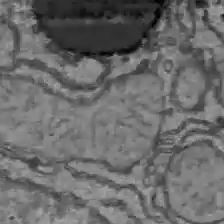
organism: C57BL Mouse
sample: Liver